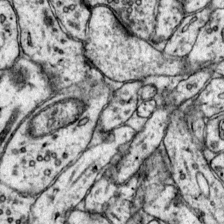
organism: Mouse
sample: Primary visual cortex